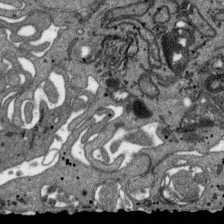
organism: Human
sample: Lung epithelial cells, uninfected (mock) control